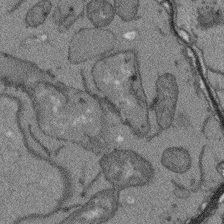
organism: Arabidopsis thaliana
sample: Root tip